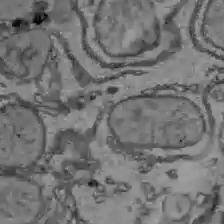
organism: C57BL Mouse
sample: Liver